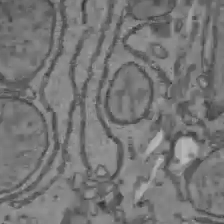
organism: C57BL Mouse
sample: Liver